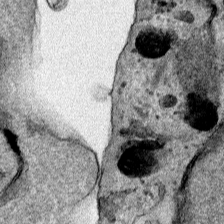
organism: Human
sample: Mitochondria in HCT116 cells